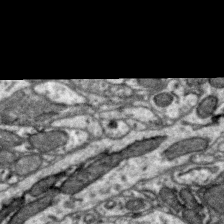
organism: Zebra finch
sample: Brain